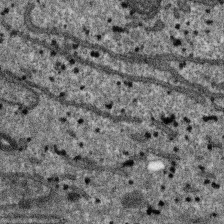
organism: Human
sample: Lung epithelial cells infected with SARS-CoV-2